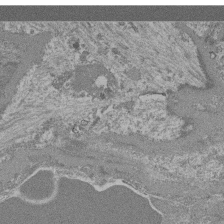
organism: Mouse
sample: Glomerulus